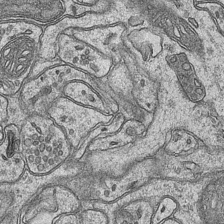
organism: Mouse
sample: CA1 Hippocampus